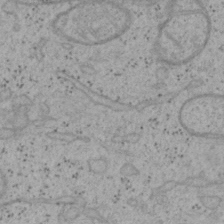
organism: Human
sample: HeLa cells